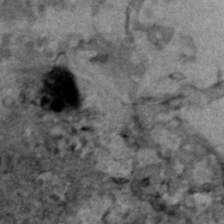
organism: Human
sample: Mitochondria in HCT116 cells